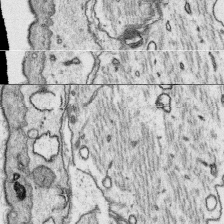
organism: Platynereis dumerilii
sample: Parapodia